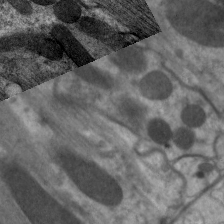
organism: C. elegans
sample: Pharynx